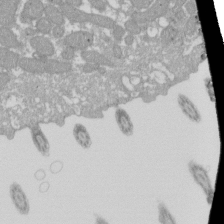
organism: Xenopus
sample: Cilia; centrioles in frog embryo cells